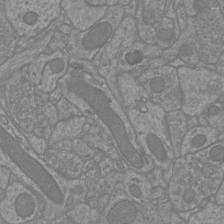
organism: Mouse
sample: Cortical neurons